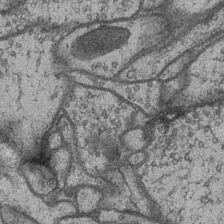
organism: Drosophila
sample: Optic medulla